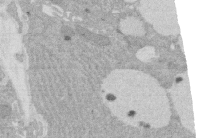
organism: Rat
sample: Salivary granule